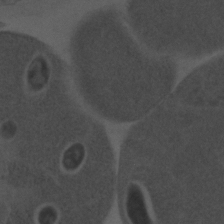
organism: C. elegans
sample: C. elegans embryo